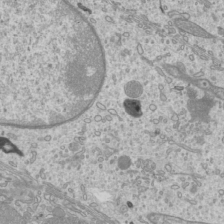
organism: Mouse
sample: Cilia; mouse epididymis